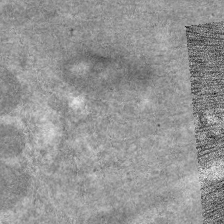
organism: C. elegans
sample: Pharynx